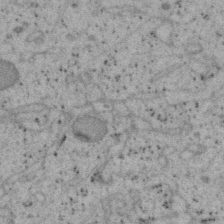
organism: Human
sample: HeLa cells